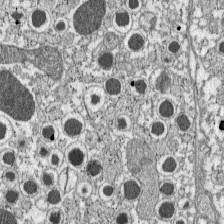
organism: C57BL Mouse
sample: Pancreatic islet